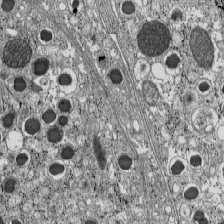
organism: C57BL Mouse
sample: Pancreatic islet